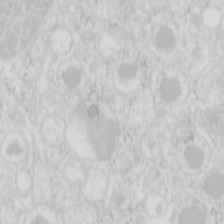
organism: Mouse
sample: Pancreas